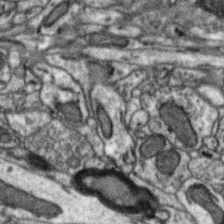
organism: Zebra finch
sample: Brain